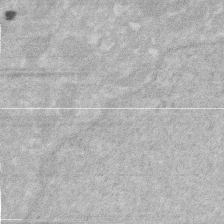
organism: Human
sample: HIV infected U937 cells